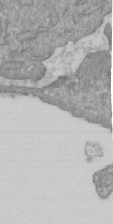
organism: Mouse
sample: ED-1 cell nuclei; centrioles